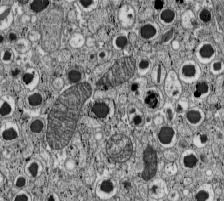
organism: C57BL Mouse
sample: Pancreatic islet